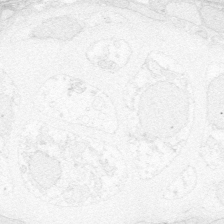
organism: Zebrafish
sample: Whole-Brain